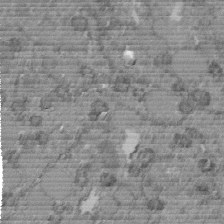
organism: C. elegans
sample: C. elegans embryo early stage